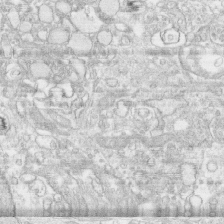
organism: Human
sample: CRL-1474